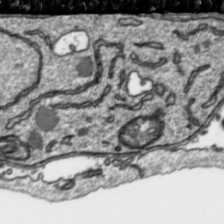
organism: Toxoplasma gondii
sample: Parasites in a vacuole inside a host cell